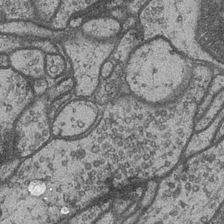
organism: Drosophila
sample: Optic medulla